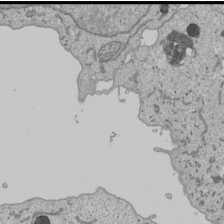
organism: Human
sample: Mitochondria in U2OS cells